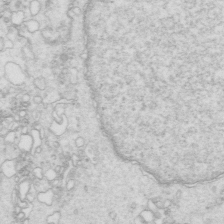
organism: Mouse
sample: Multiciliated cells